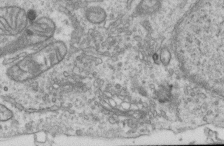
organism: Human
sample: Centriole in RPE cells